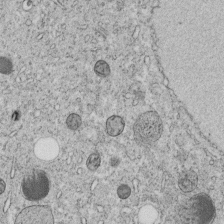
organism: C. elegans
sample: C. elegans embryo early stage